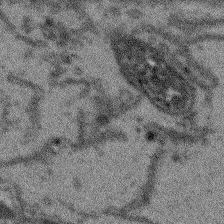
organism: Arabidopsis thaliana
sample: Root tip